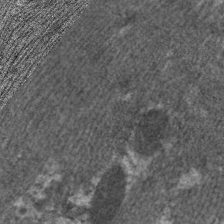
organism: C. elegans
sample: Pharynx